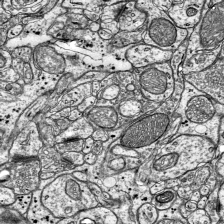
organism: Mouse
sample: Visual Cortex